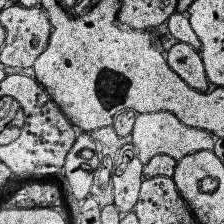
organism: Human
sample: Temporal Lobe